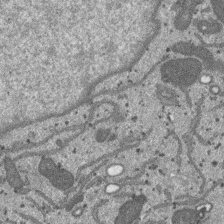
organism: Human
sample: Lung epithelial cells infected with SARS-CoV-2